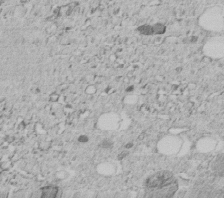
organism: C. elegans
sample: C. elegans embryo early stage